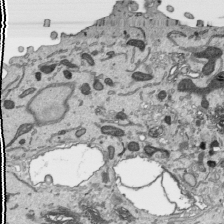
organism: Human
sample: Mitochondria in HCT116 cells